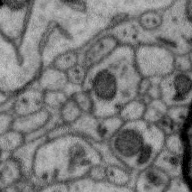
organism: Zebra finch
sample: Brain